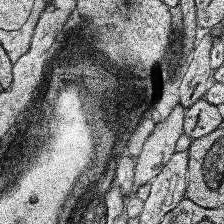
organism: Human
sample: Temporal Lobe